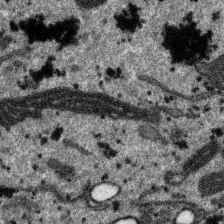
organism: Human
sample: Lung epithelial cells infected with SARS-CoV-2